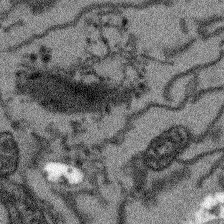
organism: Arabidopsis thaliana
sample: Root tip